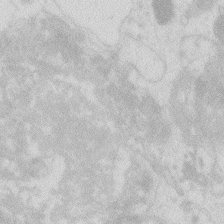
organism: Zebrafish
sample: Macrophage